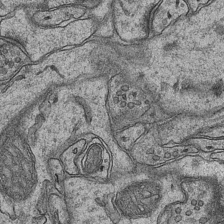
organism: Mouse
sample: CA1 Hippocampus